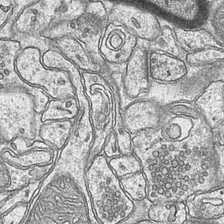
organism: Mouse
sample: CA1 Hippocampus